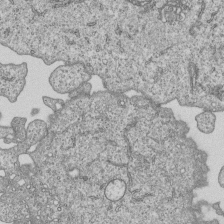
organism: Human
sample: MDA-MB-231 cells